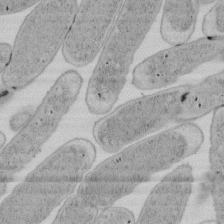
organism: E. coli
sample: Bacterial nucleoid